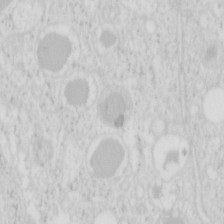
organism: Mouse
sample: Pancreas